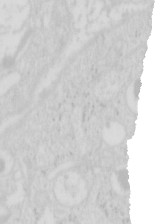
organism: Mouse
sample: Pancreas